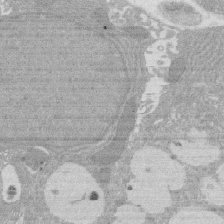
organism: Rat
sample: Salivary granule